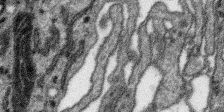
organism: Human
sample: Lung epithelial cells infected with SARS-CoV-2